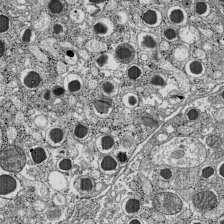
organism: C57BL Mouse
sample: Pancreatic islet